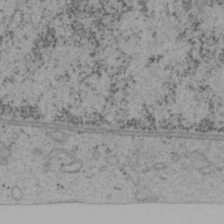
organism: Human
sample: HeLa cells